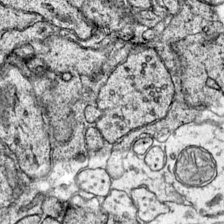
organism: Mouse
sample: Primary visual cortex